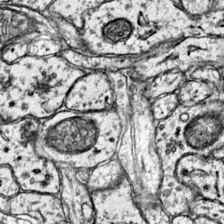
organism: Mouse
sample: Primary visual cortex